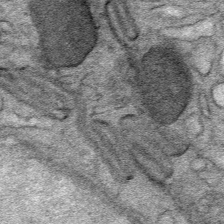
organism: Mouse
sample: Mouse Salivary gland